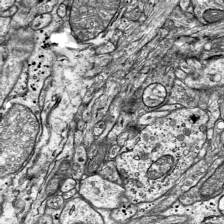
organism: Mouse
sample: Visual Cortex